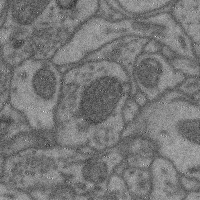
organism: Mouse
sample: Cerebral cortex